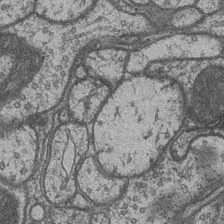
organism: Drosophila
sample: Optic medulla